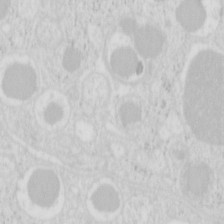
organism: Mouse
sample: Pancreas